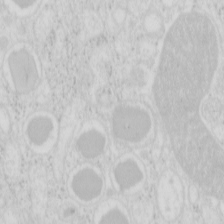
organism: Mouse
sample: Pancreas